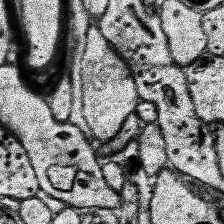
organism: Human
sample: Temporal Lobe